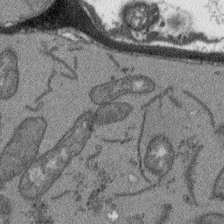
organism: Arabidopsis thaliana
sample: Root tip